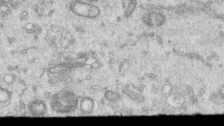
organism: Human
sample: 1205lu cells